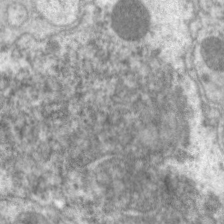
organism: C. elegans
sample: Pharynx